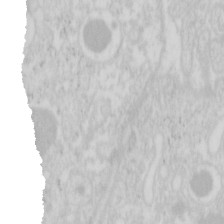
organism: Mouse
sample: Pancreas